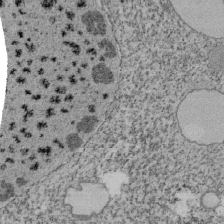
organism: Tetrahymena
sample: Cilia in tetrahymena